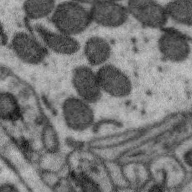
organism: Zebra finch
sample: Brain